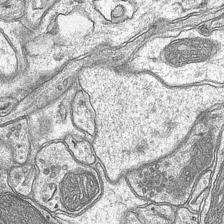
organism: Mouse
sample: CA1 Hippocampus